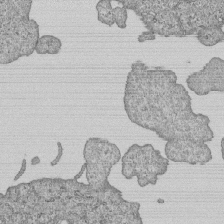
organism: Human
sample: MDA-MB-231 cells